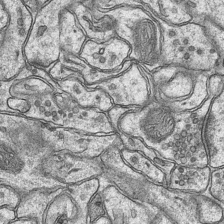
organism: Mouse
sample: CA1 Hippocampus